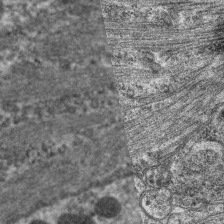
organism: C. elegans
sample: Pharynx